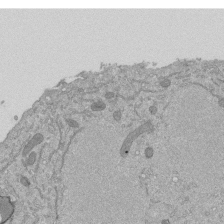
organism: Mouse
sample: ED-1 cell nuclei; centrioles